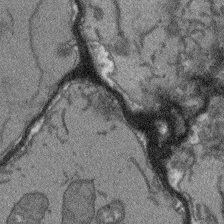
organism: Arabidopsis thaliana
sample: Root tip